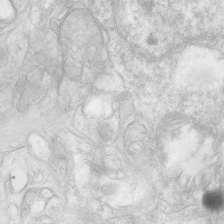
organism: Human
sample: Neocortex